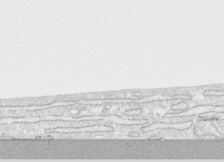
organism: Human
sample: CRL-1474